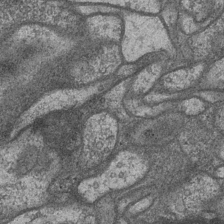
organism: Drosophila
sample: Optic medulla